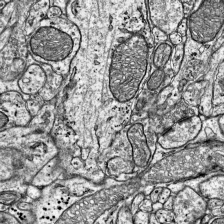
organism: Mouse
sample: Visual Cortex